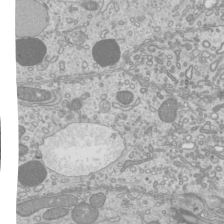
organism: Mouse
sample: Cilia; mouse epididymis